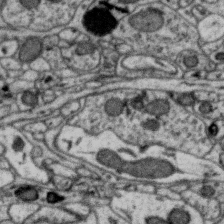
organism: Zebra finch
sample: Brain